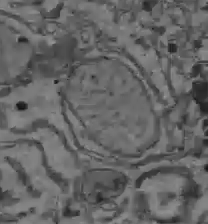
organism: C57BL Mouse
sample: Liver